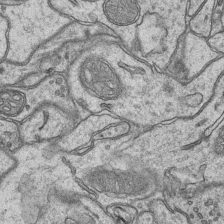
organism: Mouse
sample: CA1 Hippocampus